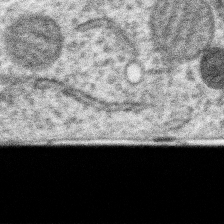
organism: Human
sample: HeLa cells